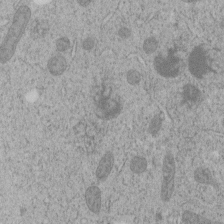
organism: C. elegans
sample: C. elegans embryo early stage